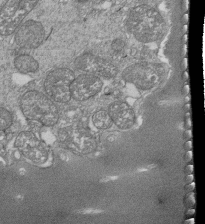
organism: Tetrahymena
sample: Cilia in tetrahymena